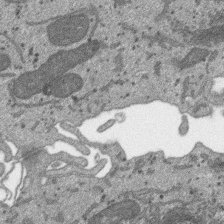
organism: Human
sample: Lung epithelial cells infected with SARS-CoV-2